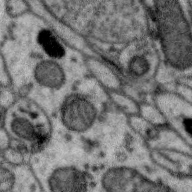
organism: Zebra finch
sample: Brain